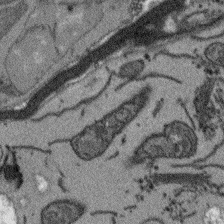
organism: Arabidopsis thaliana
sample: Root tip